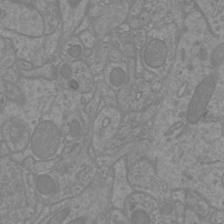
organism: Mouse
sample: Cortical neurons